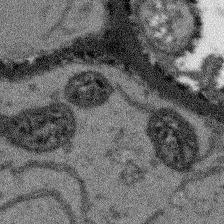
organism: Arabidopsis thaliana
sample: Root tip